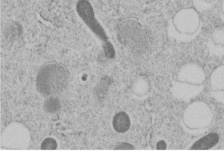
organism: C. elegans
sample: C. elegans embryo early stage